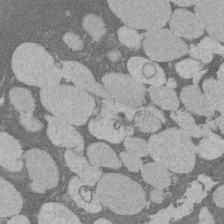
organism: Rat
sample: Salivary granule